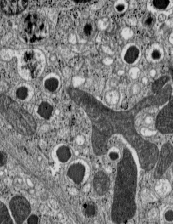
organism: C57BL Mouse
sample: Pancreatic islet